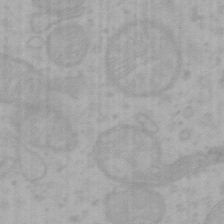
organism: Mouse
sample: Choroid plexus